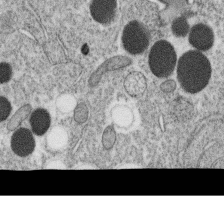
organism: C. elegans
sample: C. elegans oocyte; sperm cells